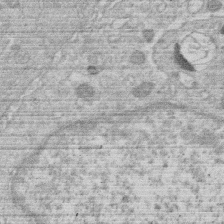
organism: Human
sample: Macrophage cells